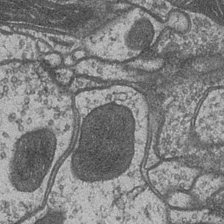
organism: Drosophila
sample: Optic medulla